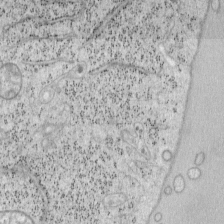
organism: Mouse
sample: OT-I killer T cells with ID8 ovarian cancer cells